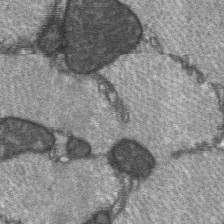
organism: C57BL Mouse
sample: Soleus